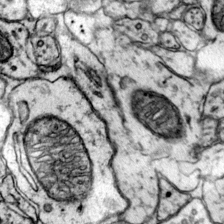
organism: Mouse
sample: Primary visual cortex